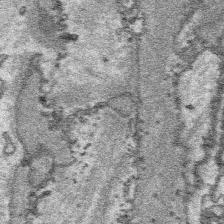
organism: Platynereis dumerilii